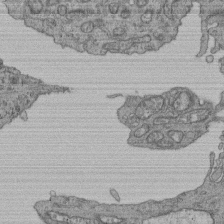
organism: Human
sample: Retinal organoid Rod and Cone cells